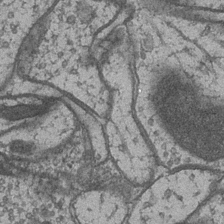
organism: Drosophila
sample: Optic medulla